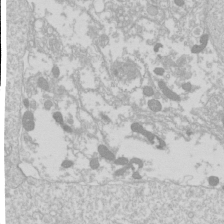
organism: Drosophila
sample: Cell division; meiosis; drosophila spermatocytes